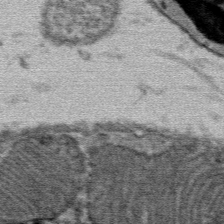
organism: Mouse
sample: Mouse Salivary gland